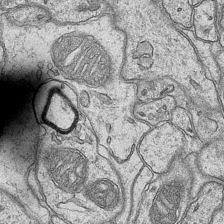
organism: Mouse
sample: CA1 Hippocampus